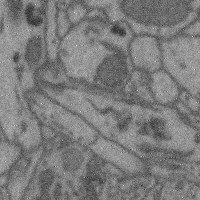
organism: Mouse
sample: Cerebral cortex